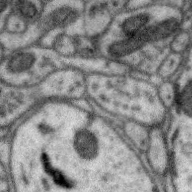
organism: Zebra finch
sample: Brain